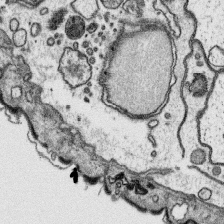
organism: Platynereis dumerilii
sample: Parapodia